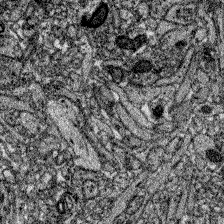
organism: Zebrafish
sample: Larval olfactory bulb